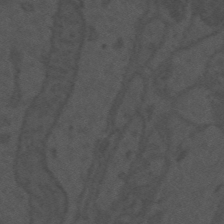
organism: Mouse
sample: Suprachiasmatic nucleus